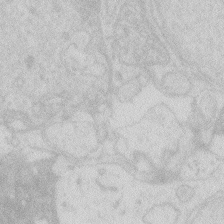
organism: Zebrafish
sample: Macrophage